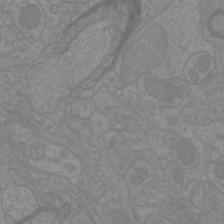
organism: Mouse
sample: Cortical neurons